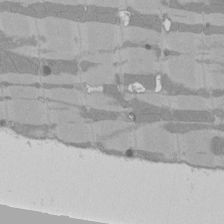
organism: Rat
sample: Left ventricle